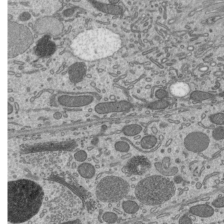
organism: Mouse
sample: Mouse epididymis efferent ductule cilia